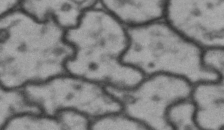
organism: Drosophila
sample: Brain